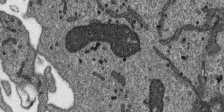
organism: Human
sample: Lung epithelial cells infected with SARS-CoV-2